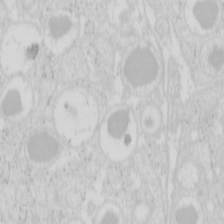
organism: Mouse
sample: Pancreas